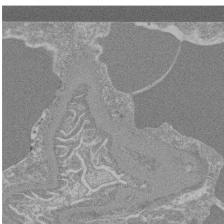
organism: Mouse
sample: Glomerulus